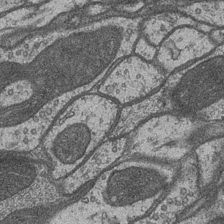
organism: Drosophila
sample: Optic medulla